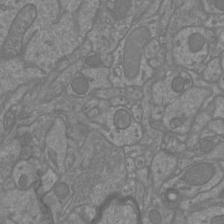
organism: Mouse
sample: Cortical neurons